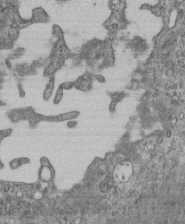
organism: Mouse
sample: Centriole in ependymal cells